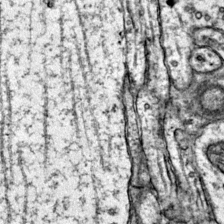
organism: Mouse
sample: Primary visual cortex